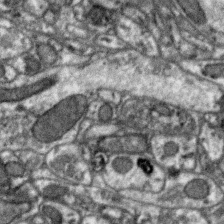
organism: Zebra finch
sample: Brain